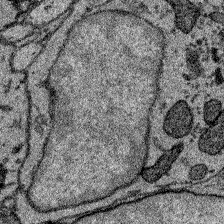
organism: Zebrafish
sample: Larval olfactory bulb